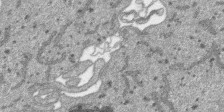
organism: Human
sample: Lung epithelial cells infected with SARS-CoV-2